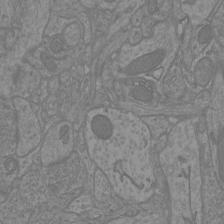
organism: Mouse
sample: Cortical neurons